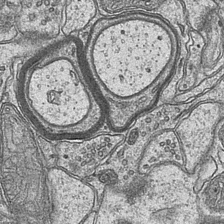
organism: Mouse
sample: CA1 Hippocampus